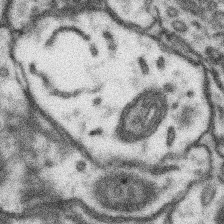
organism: Mouse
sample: Somatosensory cortex neuropil